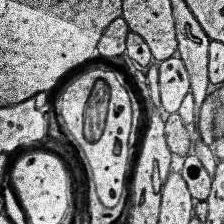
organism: Human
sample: Temporal Lobe